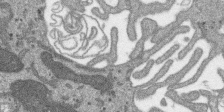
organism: Human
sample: Lung epithelial cells infected with SARS-CoV-2